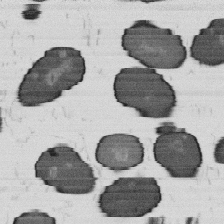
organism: B. subtilis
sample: Bacterial spore